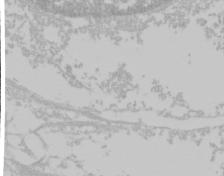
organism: Mouse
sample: Cancer cell death in ED-1 cells